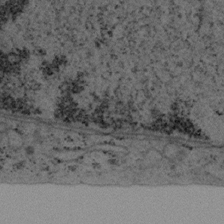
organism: Human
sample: HeLa cells